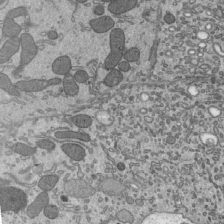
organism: Mouse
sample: Mouse epididymis efferent ductule cilia